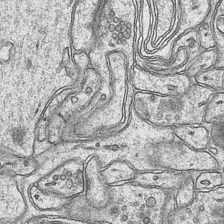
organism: Mouse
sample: CA1 Hippocampus